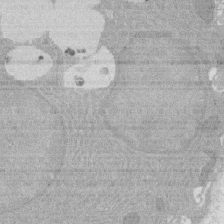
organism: Rat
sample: Salivary granule